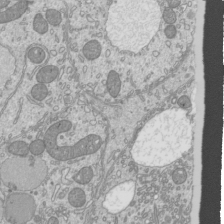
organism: Mouse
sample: Cilia; mouse epididymis